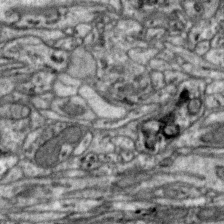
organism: Zebra finch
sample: Brain